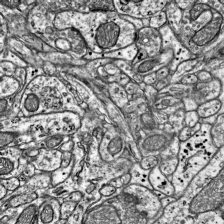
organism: Mouse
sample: Visual Cortex